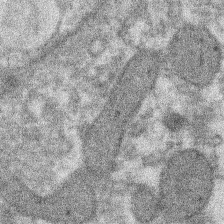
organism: Xenopus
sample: Cilia; centrioles in frog embryo cells